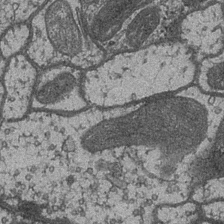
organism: Drosophila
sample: Optic medulla